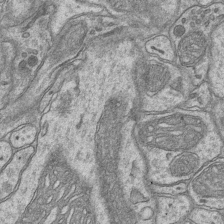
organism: Mouse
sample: CA1 Hippocampus